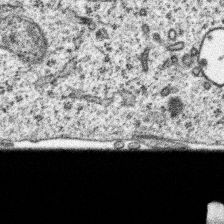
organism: Human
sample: HeLa cells